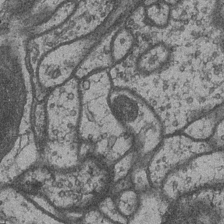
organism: Drosophila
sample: Optic medulla